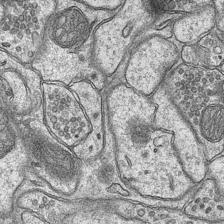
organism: Mouse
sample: CA1 Hippocampus